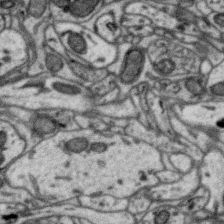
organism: Zebra finch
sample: Brain